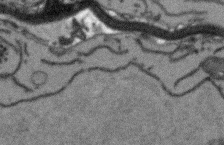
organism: Arabidopsis thaliana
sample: Root tip